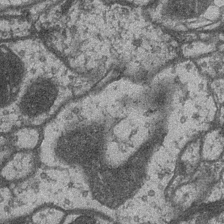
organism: Drosophila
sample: Optic medulla